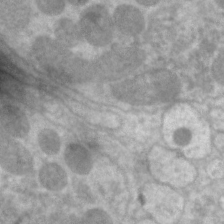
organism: C. elegans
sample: Pharynx